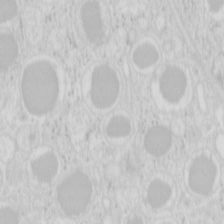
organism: Mouse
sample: Pancreas